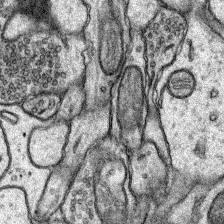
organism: Rat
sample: Hippocampus